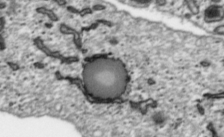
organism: Toxoplasma gondii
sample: Parasites in a vacuole inside a host cell